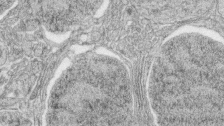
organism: Zebrafish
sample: synaptic ribbons in rod cells and cone cells